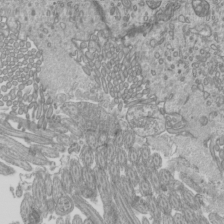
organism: Mouse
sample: Cilia; mouse epididymis